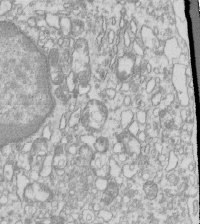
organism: Mouse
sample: Macrophages